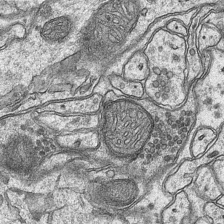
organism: Mouse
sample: CA1 Hippocampus